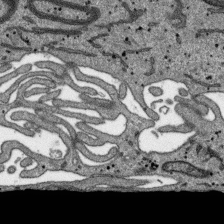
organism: Human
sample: Lung epithelial cells, uninfected (mock) control